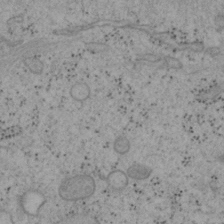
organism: Human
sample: HeLa cells